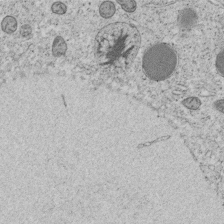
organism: C. elegans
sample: C. elegans embryo early stage